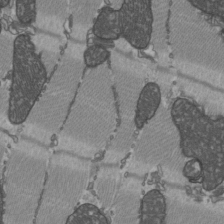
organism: C57BL Mouse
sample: Heart